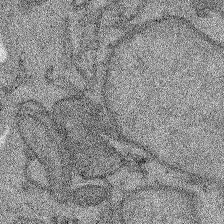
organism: Human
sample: HeLa cells